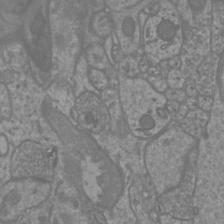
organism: Mouse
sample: Cortical neurons